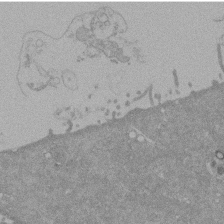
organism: Mouse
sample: ED-1 cell nuclei; centrioles